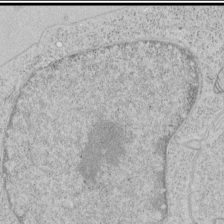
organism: Human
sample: Mitochondria in HCT116 cells